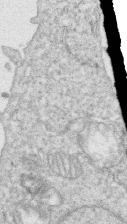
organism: Human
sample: HeLa cell HIV synapse